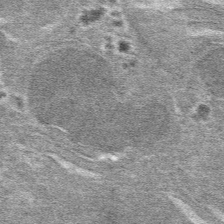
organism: Mouse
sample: Mouse hepatocytes